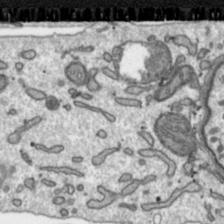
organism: Toxoplasma gondii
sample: Parasites in a vacuole inside a host cell